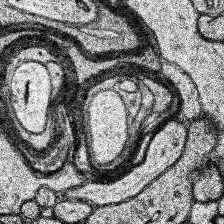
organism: Human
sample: Temporal Lobe